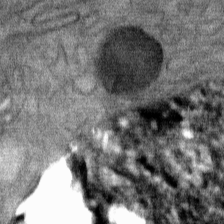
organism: Mouse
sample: Mouse Salivary gland